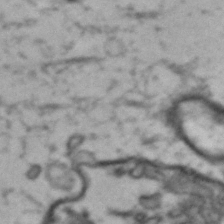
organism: Drosophila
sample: Brain